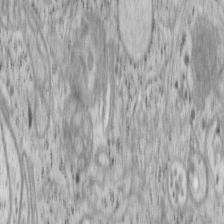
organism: Human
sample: HeLa cells